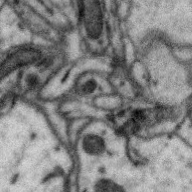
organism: Zebra finch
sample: Brain